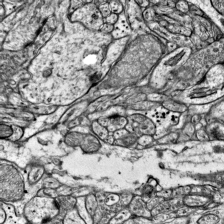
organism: Mouse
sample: Visual Cortex